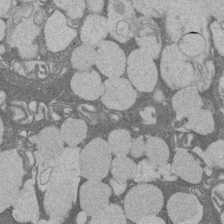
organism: Rat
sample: Salivary granule